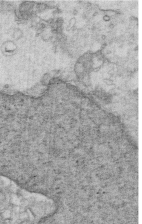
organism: Mouse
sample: Multiciliated cells